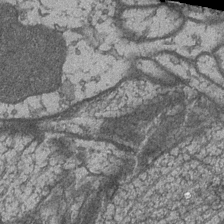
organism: Drosophila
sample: Optic medulla